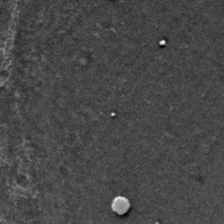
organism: C. elegans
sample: C. elegans embryo